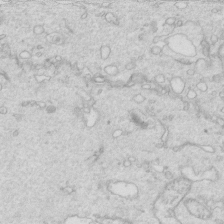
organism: Mouse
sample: Multiciliated cells